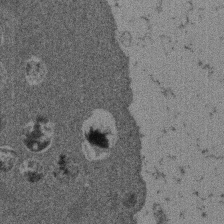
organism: Mouse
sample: Dividing mouse embryo 1 cell stage